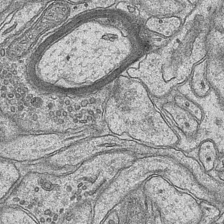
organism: Mouse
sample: CA1 Hippocampus